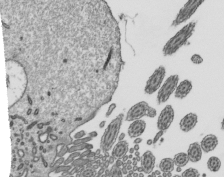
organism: Mouse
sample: Mouse epididymis efferent ductule cilia